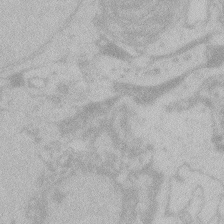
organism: Zebrafish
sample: Macrophage infected with Toxoplasma gondii